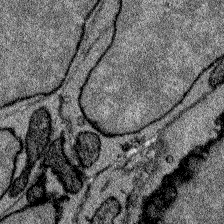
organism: Zebrafish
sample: Larval olfactory bulb